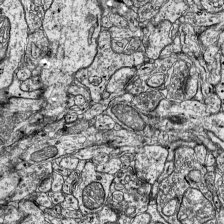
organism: Mouse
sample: Visual Cortex